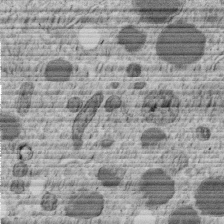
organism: C. elegans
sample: C. elegans embryo early stage